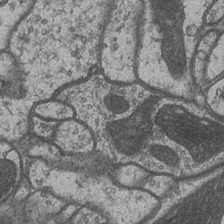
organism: Drosophila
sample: Optic medulla